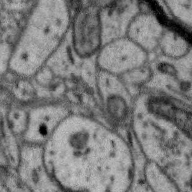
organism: Zebra finch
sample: Brain